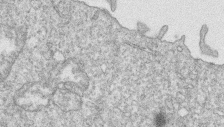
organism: Human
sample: HeLa cell HIV synapse